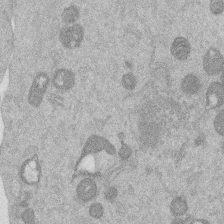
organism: Mouse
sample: Dividing mouse embryo 1 cell stage